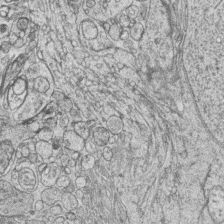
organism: Zebrafish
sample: synaptic ribbons in rod cells and cone cells